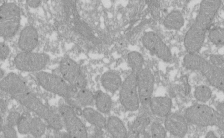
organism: Xenopus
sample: Cilia; centrioles in frog embryo cells